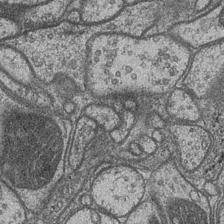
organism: Drosophila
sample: Optic medulla